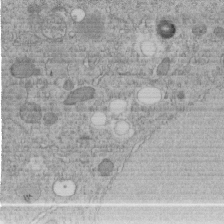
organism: C. elegans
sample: C. elegans embryo early stage